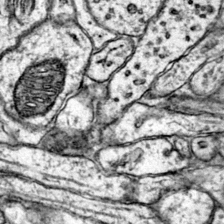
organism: Mouse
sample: Primary visual cortex